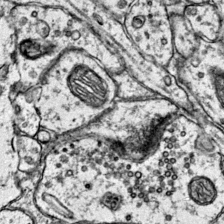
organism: Mouse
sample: Primary visual cortex